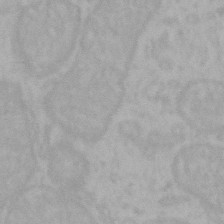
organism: Mouse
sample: Choroid plexus